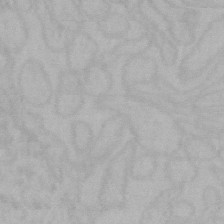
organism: Mouse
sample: Choroid plexus